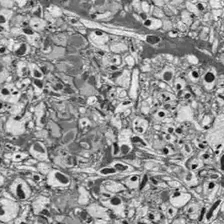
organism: Drosophila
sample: Optic lobe